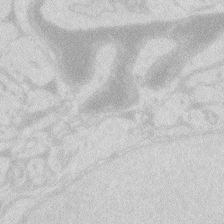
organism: Zebrafish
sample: Macrophage